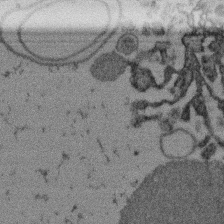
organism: Mouse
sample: Dividing mouse embryo 1 cell stage